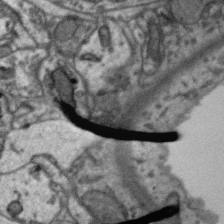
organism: Zebra finch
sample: Brain